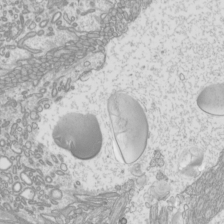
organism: Mouse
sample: Cilia; mouse epididymis